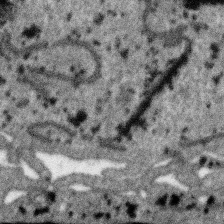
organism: Human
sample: Lung epithelial cells infected with SARS-CoV-2